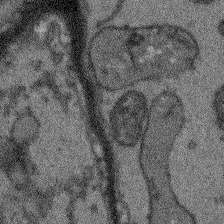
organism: Arabidopsis thaliana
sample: Root tip